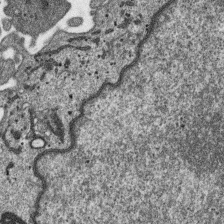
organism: Human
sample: Lung epithelial cells infected with SARS-CoV-2